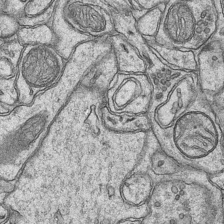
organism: Mouse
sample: CA1 Hippocampus